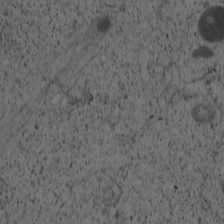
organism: African green monkey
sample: COS-7 cells